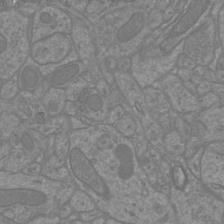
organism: Mouse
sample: Cortical neurons